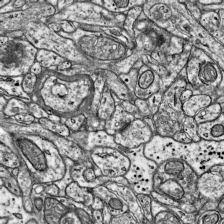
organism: Mouse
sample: Visual Cortex